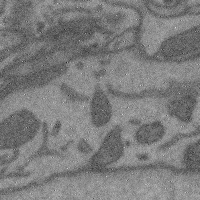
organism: Mouse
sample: Cerebral cortex